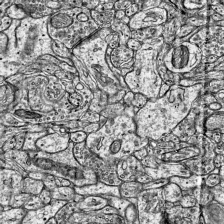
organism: Mouse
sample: Visual Cortex